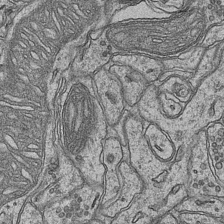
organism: Mouse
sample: CA1 Hippocampus